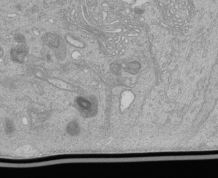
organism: Human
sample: Retinal organoid Rod and Cone cells